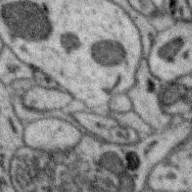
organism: Zebra finch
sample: Brain